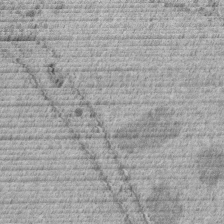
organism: C. elegans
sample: C. elegans embryo early stage